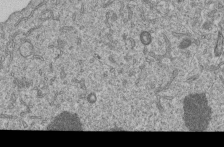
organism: Human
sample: MDA-MB-231 cells